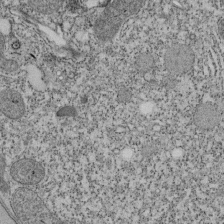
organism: Tetrahymena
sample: Cilia in tetrahymena